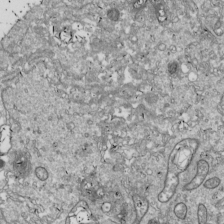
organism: Drosophila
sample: Cell division; meiosis; drosophila spermatocytes